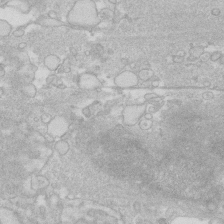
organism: Human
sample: Fibroblast cells